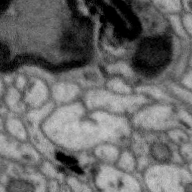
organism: Zebra finch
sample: Brain